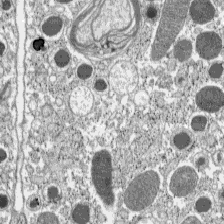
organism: C57BL Mouse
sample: Pancreatic islet